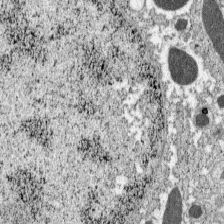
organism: C57BL Mouse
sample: Pancreatic islet